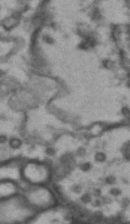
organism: Drosophila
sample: Brain